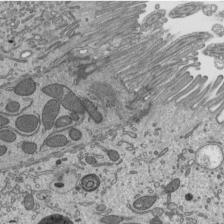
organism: Mouse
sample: Mouse epididymis efferent ductule cilia